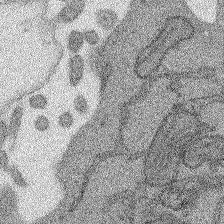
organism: Human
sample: HeLa cells